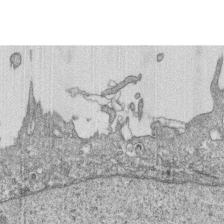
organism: Human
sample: HeLa cell HIV synapse